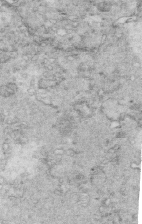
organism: Mouse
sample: Multiciliated cells